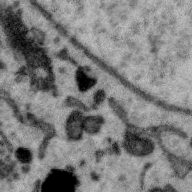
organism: Zebra finch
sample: Brain